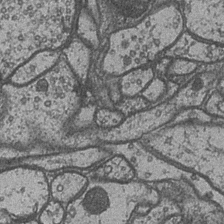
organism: Drosophila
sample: Optic medulla